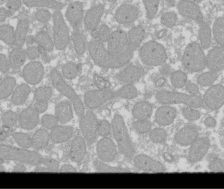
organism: Xenopus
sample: Cilia; centrioles in frog embryo cells